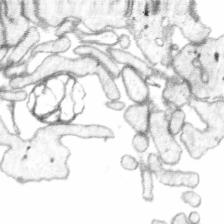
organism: Human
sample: HeLa cells